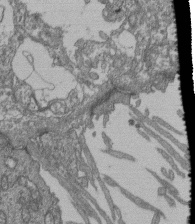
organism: Human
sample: Retinal organoid Rod and Cone cells